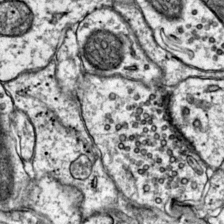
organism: Mouse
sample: Primary visual cortex